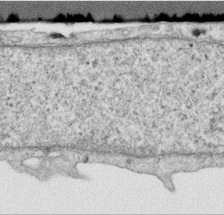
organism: Human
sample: Centriole in RPE cells